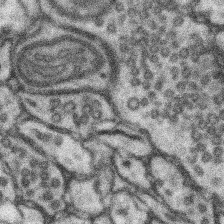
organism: Mouse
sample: Somatosensory cortex neuropil